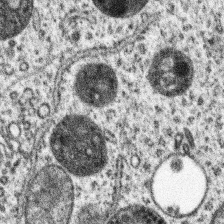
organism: Human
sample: HeLa cells